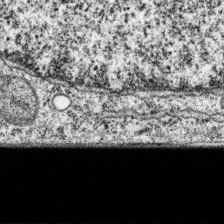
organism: Human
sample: HeLa cells